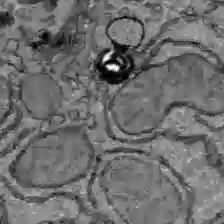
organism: C57BL Mouse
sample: Liver